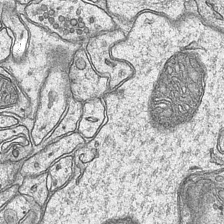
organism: Mouse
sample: CA1 Hippocampus